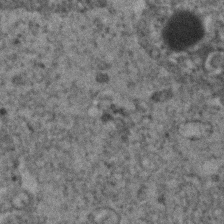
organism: Human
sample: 1205lu cells